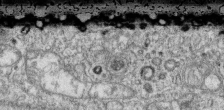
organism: Human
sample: HeLa cell HIV synapse